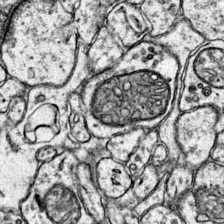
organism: Mouse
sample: Primary visual cortex